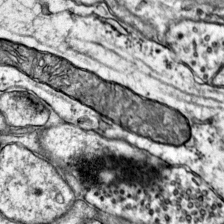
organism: Mouse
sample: Primary visual cortex